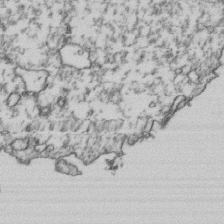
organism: Human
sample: Activated Jurkat CD4+ T cells